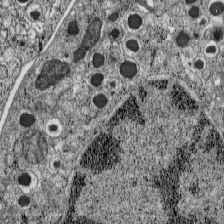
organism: C57BL Mouse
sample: Pancreatic islet